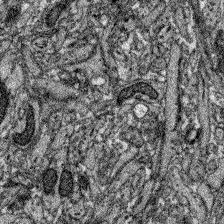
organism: Zebrafish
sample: Larval olfactory bulb